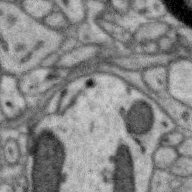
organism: Zebra finch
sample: Brain